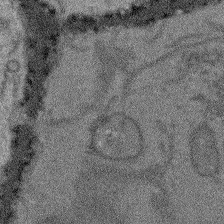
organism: Arabidopsis thaliana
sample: Root tip